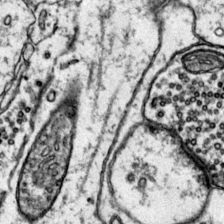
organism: Mouse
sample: Primary visual cortex